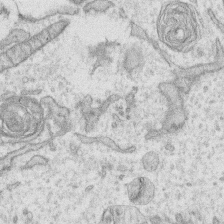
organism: Human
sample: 1205lu cells